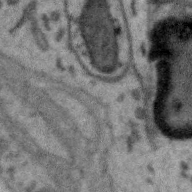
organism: Zebra finch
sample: Brain